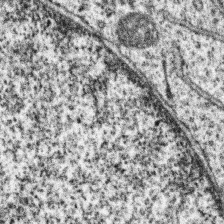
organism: Human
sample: HeLa cells